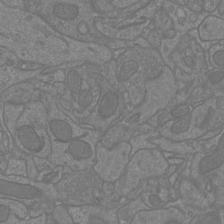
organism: Mouse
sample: Cortical neurons